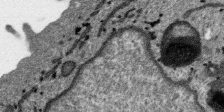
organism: Human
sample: Lung epithelial cells, uninfected (mock) control